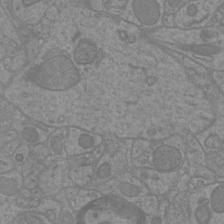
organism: Mouse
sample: Cortical neurons